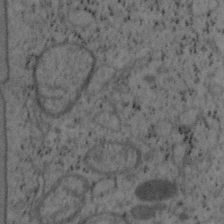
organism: Human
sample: HeLa cells